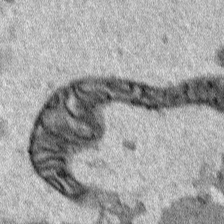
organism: Human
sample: Mitochondria in HCT116 cells